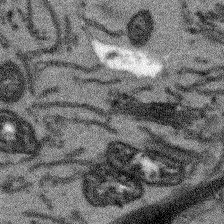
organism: Arabidopsis thaliana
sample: Root tip